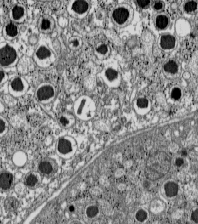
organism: C57BL Mouse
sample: Pancreatic islet